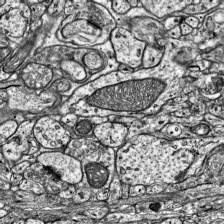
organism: Mouse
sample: Visual Cortex